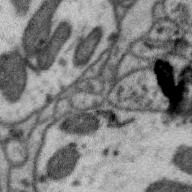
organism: Zebra finch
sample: Brain